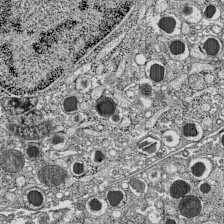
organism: C57BL Mouse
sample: Pancreatic islet